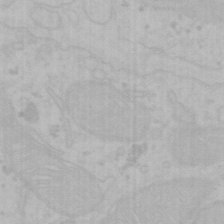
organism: Mouse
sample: Choroid plexus